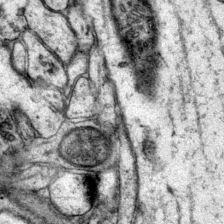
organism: Mouse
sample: Primary visual cortex